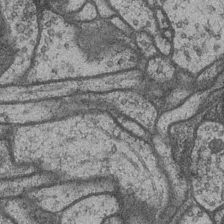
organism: Drosophila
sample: Optic medulla